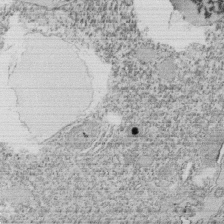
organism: Tetrahymena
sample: Cilia in tetrahymena